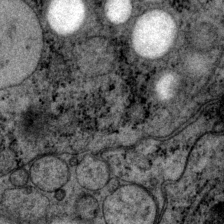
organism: P. pacificus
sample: Pharynx